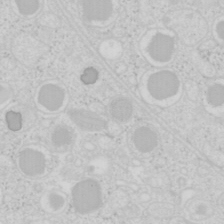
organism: Mouse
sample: Pancreas